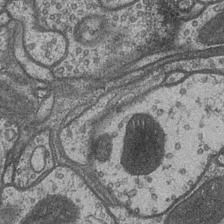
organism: Drosophila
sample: Optic medulla